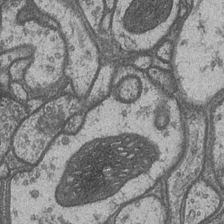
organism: Drosophila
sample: Optic medulla